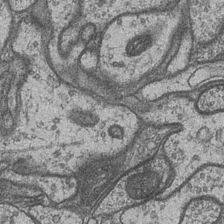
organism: Drosophila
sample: Optic medulla